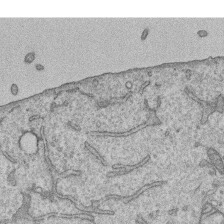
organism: Human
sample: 1205lu cells